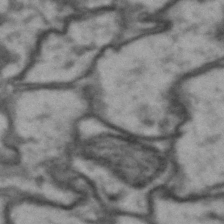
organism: Drosophila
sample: Brain